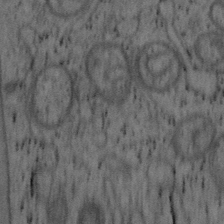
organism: Human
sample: HeLa cells